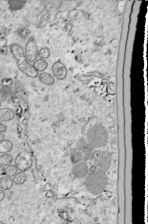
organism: Drosophila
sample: Cell division; meiosis; drosophila spermatocytes